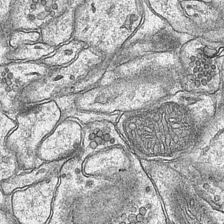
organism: Mouse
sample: CA1 Hippocampus